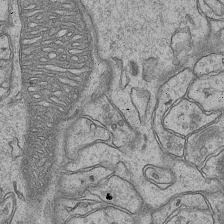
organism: Mouse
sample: CA1 Hippocampus